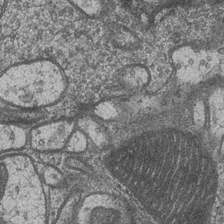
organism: Drosophila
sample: Optic medulla